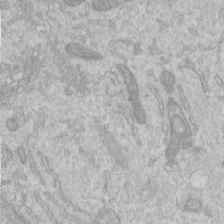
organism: Human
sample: Centriole in RPE cells